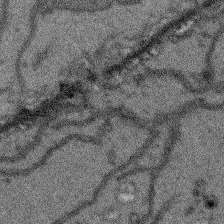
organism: Arabidopsis thaliana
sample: Root tip